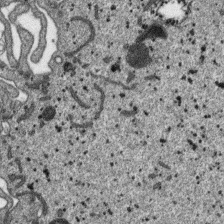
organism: Human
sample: Lung epithelial cells infected with SARS-CoV-2